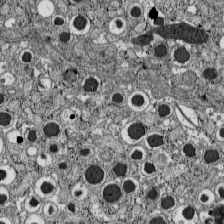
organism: C57BL Mouse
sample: Pancreatic islet